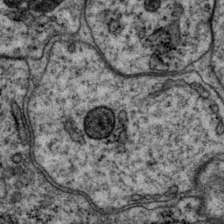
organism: P. pacificus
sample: Pharynx